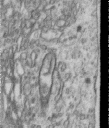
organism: Human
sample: Centriole in RPE cells